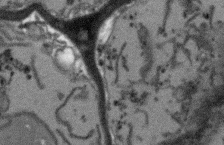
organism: Arabidopsis thaliana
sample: Root tip